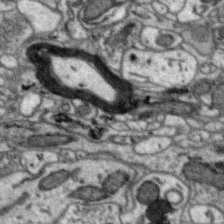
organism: Zebra finch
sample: Brain